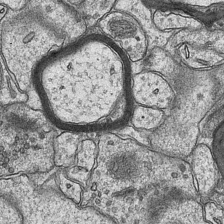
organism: Mouse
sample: CA1 Hippocampus